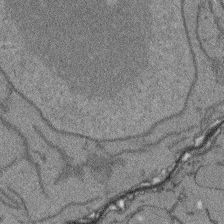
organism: Arabidopsis thaliana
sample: Root tip